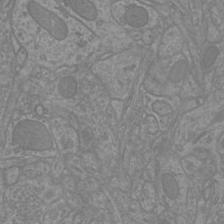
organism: Mouse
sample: Cortical neurons